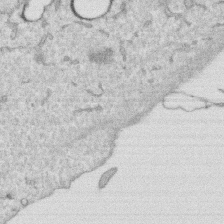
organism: Human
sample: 1205lu cells